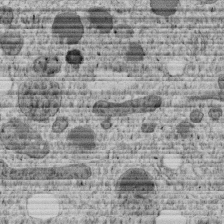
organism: C. elegans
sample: C. elegans embryo early stage